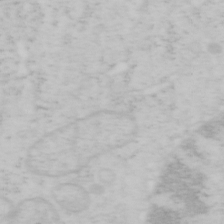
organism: Mouse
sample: OT-I killer T cells with ID8 ovarian cancer cells